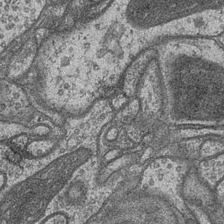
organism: Drosophila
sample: Optic medulla